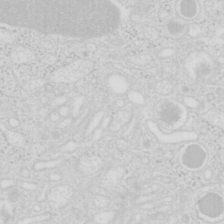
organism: Mouse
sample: Pancreas